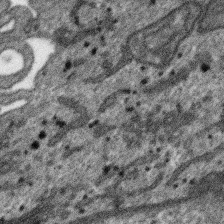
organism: Human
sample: Lung epithelial cells infected with SARS-CoV-2